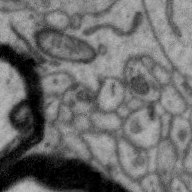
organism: Zebra finch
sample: Brain